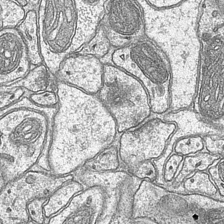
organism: Mouse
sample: CA1 Hippocampus